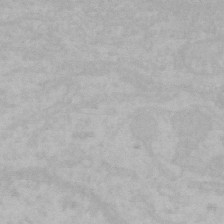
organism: Mouse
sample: Choroid plexus